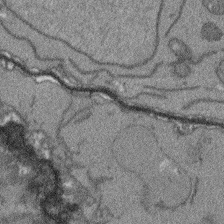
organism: Arabidopsis thaliana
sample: Root tip